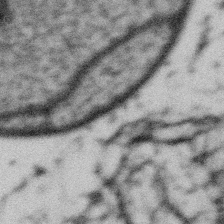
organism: Gemmata obscuriglobus